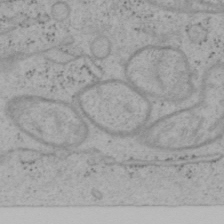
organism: Human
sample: HeLa cells